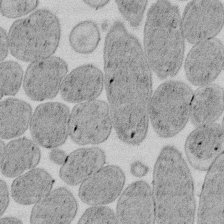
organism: E. coli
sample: Bacterial nucleoid